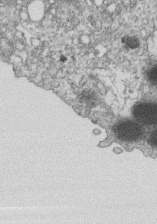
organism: Human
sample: HeLa cell HIV synapse